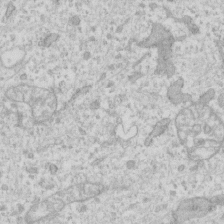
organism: Human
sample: Fibroblast cells